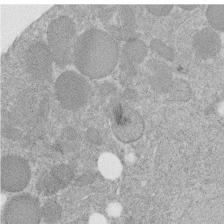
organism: C. elegans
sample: C. elegans embryo early stage